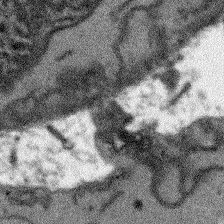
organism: Arabidopsis thaliana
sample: Root tip